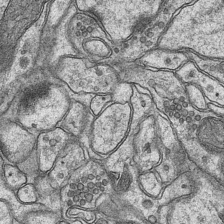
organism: Mouse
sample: CA1 Hippocampus